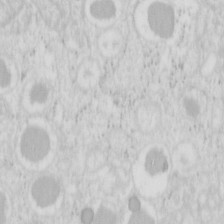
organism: Mouse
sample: Pancreas